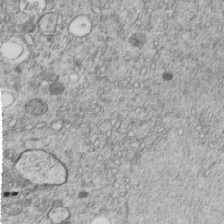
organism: C. elegans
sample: C. elegans embryo early stage